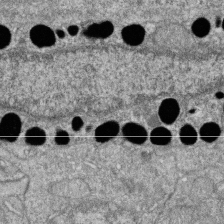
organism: Zebrafish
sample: Cilia; retinal pigment epithelium